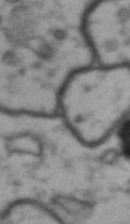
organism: Drosophila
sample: Brain